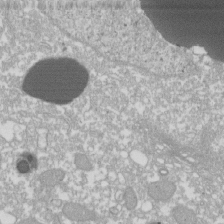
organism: Xenopus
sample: Cilia; centrioles in frog embryo cells